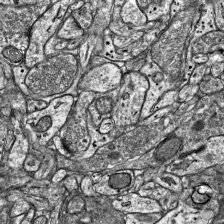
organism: Mouse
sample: Visual Cortex